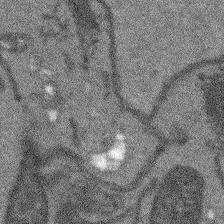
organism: Arabidopsis thaliana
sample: Root tip